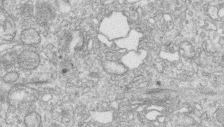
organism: Human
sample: HeLa cell HIV synapse